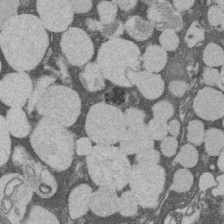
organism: Rat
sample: Salivary granule